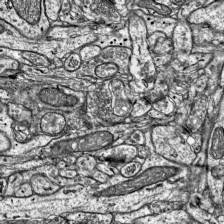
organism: Mouse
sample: Visual Cortex